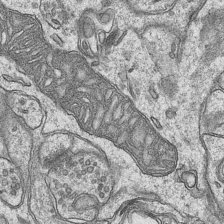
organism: Mouse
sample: CA1 Hippocampus